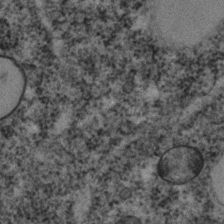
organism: C. elegans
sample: C. elegans embryo